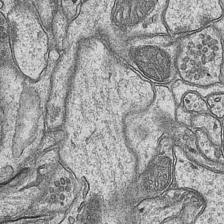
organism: Mouse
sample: CA1 Hippocampus